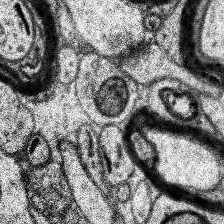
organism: Human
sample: Temporal Lobe